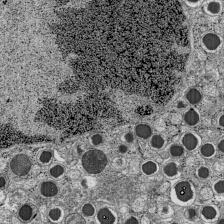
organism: C57BL Mouse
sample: Pancreatic islet